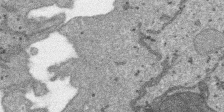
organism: Human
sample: Lung epithelial cells infected with SARS-CoV-2